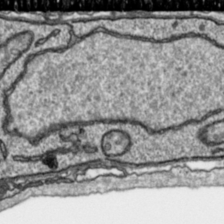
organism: Toxoplasma gondii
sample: Parasites in a vacuole inside a host cell